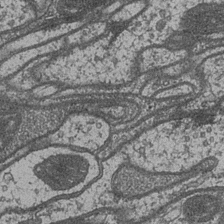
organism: Drosophila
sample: Optic medulla